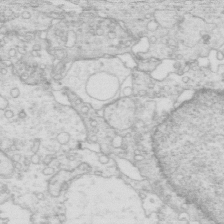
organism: Mouse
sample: Multiciliated cells